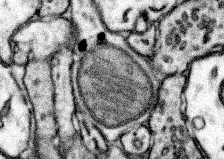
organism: Mouse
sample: Somatosensory cortex neuropil